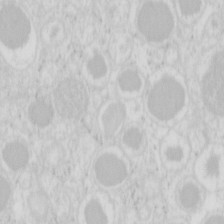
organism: Mouse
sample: Pancreas